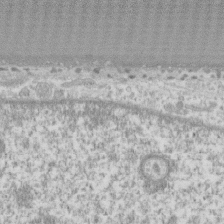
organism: Human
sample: CRL-1474